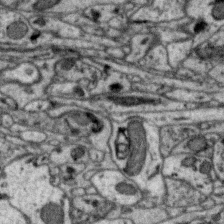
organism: Zebra finch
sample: Brain